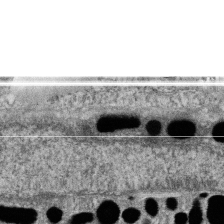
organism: Zebrafish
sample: Cilia; retinal pigment epithelium